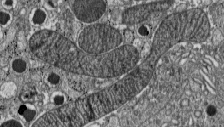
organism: C57BL Mouse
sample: Pancreatic islet